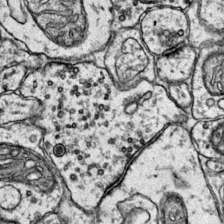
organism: Mouse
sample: Primary visual cortex